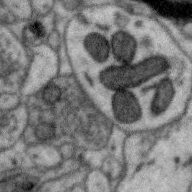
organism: Zebra finch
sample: Brain